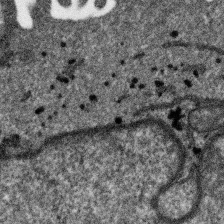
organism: Human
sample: Lung epithelial cells infected with SARS-CoV-2